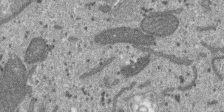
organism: Human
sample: Lung epithelial cells infected with SARS-CoV-2